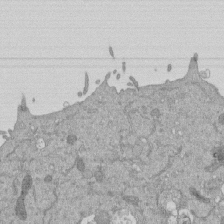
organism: Mouse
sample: ED-1 cell nuclei; centrioles